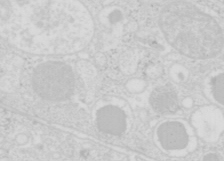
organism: Mouse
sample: Pancreas